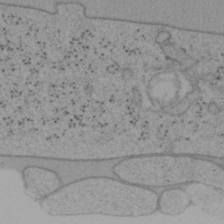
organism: Human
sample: HeLa cells